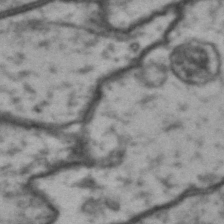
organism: Drosophila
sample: Brain